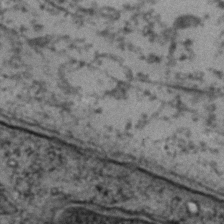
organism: Zebrafish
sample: Zebrafish embryo